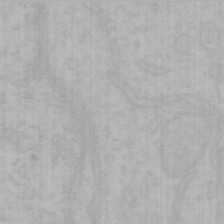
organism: Mouse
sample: Choroid plexus